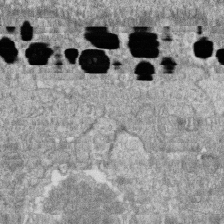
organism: Zebrafish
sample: Cilia; retinal pigment epithelium